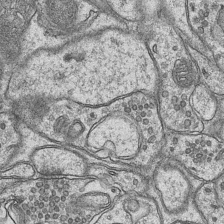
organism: Mouse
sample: CA1 Hippocampus